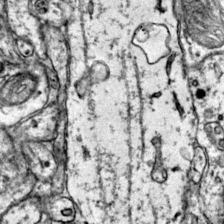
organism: Mouse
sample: Primary visual cortex